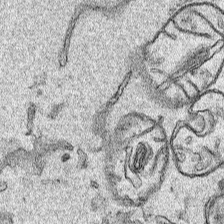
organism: Human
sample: Mitochondria in HCT116 cells